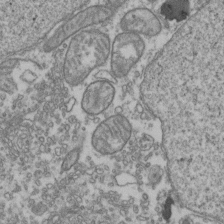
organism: Human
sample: Activated Jurkat CD4+ T cells